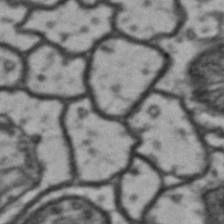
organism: Drosophila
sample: Brain